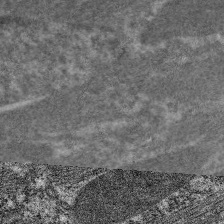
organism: C. elegans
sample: Pharynx